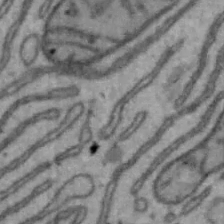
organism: Mouse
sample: Liver